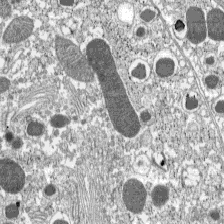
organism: C57BL Mouse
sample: Pancreatic islet